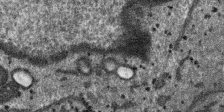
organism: Human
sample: Lung epithelial cells infected with SARS-CoV-2